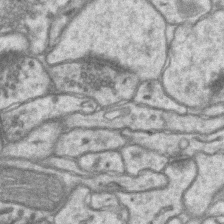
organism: Mouse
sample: CA1 Hippocampus